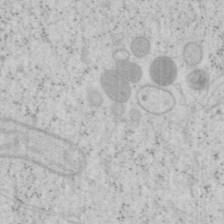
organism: Human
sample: HeLa cells